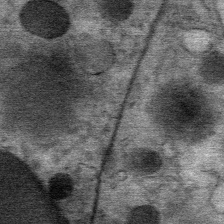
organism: Mouse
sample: Mouse Salivary gland